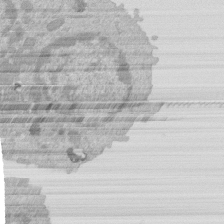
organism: Mouse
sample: Activated Pmel transgenic CD8+ T Cells